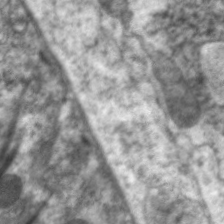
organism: C. elegans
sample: Pharynx